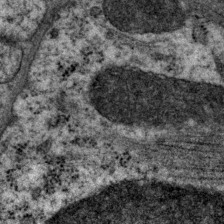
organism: P. pacificus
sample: Pharynx